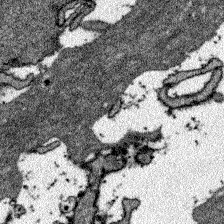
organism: Zebrafish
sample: Larval olfactory bulb